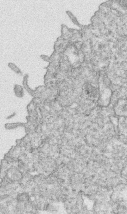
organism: Human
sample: HeLa cell HIV synapse